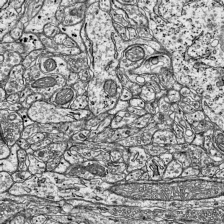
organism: Mouse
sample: Visual Cortex